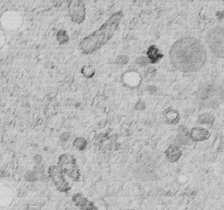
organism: C. elegans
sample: C. elegans embryo early stage